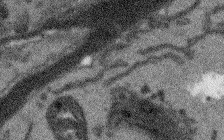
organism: Arabidopsis thaliana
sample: Root tip